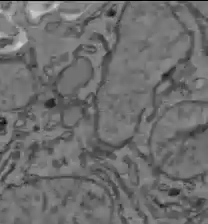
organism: C57BL Mouse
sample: Liver